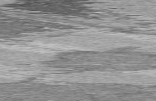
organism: C57BL Mouse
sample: Heart